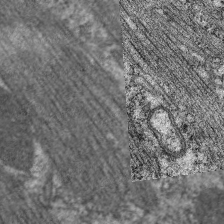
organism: C. elegans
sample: Pharynx